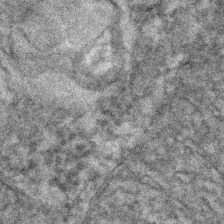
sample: Kidney